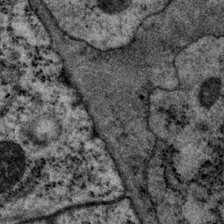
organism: P. pacificus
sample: Pharynx